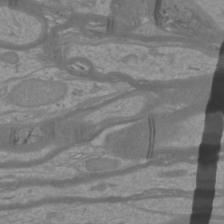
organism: Mouse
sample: Cortical neurons